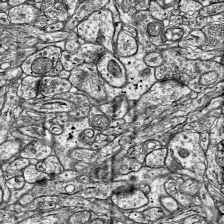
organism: Mouse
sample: Visual Cortex